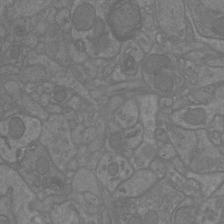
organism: Mouse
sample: Cortical neurons